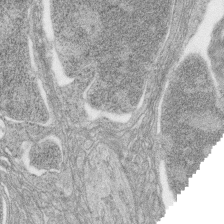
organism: Zebrafish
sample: synaptic ribbons in rod cells and cone cells